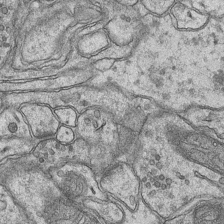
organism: Mouse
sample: CA1 Hippocampus